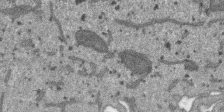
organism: Human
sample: Lung epithelial cells infected with SARS-CoV-2